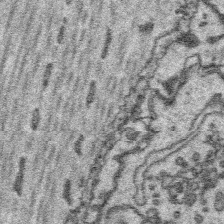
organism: Platynereis dumerilii